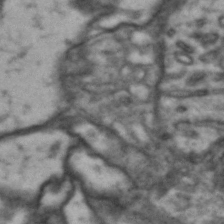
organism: Drosophila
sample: Brain